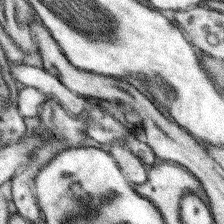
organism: Mouse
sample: Somatosensory cortex neuropil